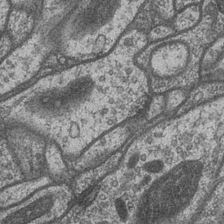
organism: Drosophila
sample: Optic medulla